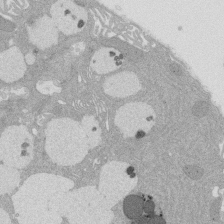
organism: Rat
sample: Salivary granule